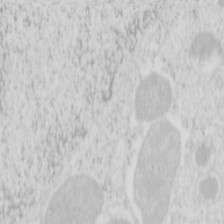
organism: Mouse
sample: Pancreas